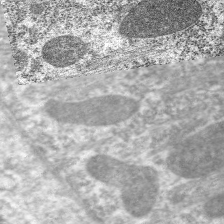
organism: C. elegans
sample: Pharynx